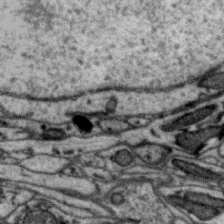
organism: Zebra finch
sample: Brain